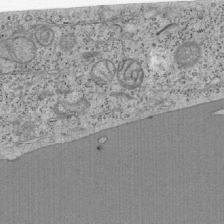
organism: Human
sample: HeLa cells